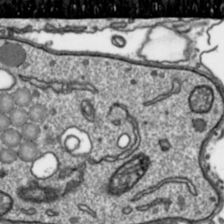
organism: Toxoplasma gondii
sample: Parasites in a vacuole inside a host cell